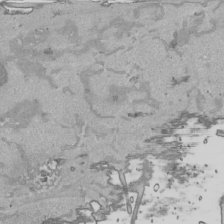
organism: Human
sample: Mitochondria in HCT116 cells